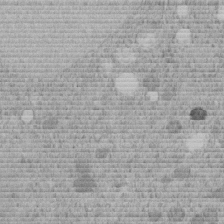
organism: C. elegans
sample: C. elegans embryo early stage